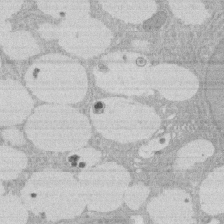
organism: Rat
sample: Salivary granule